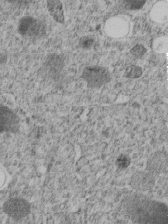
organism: C. elegans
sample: C. elegans embryo early stage